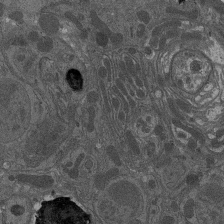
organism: Drosophila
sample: Antenna